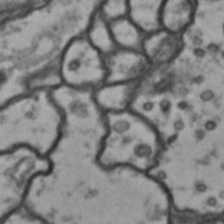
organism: Drosophila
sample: Brain